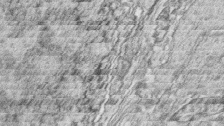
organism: Zebrafish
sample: synaptic ribbons in rod cells and cone cells